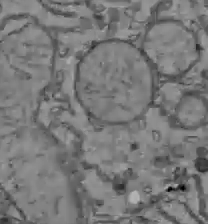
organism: C57BL Mouse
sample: Liver